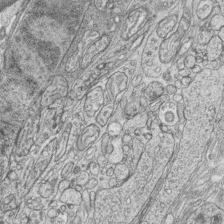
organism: Zebrafish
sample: synaptic ribbons in rod cells and cone cells